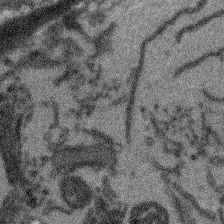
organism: Arabidopsis thaliana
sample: Root tip